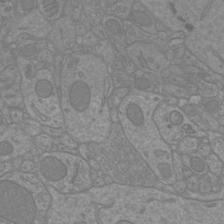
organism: Mouse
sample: Cortical neurons